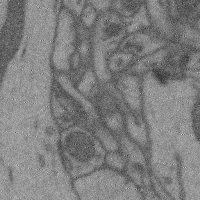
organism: Mouse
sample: Cerebral cortex